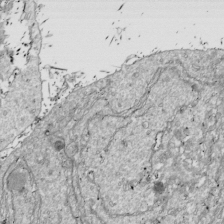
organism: Drosophila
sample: Cell division; meiosis; drosophila spermatocytes